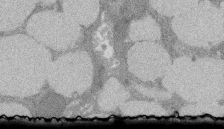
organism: Rat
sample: Salivary granule